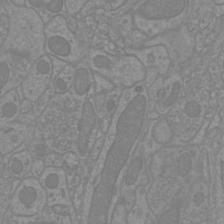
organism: Mouse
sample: Cortical neurons